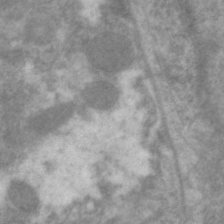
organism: C. elegans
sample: Pharynx